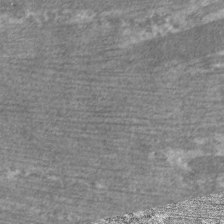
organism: C. elegans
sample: Pharynx